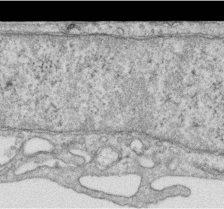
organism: Human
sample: Centriole in RPE cells